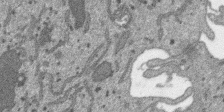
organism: Human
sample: Lung epithelial cells infected with SARS-CoV-2